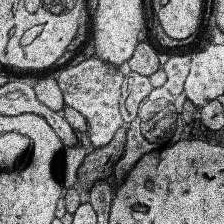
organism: Human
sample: Temporal Lobe